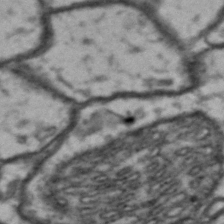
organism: Drosophila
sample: Brain